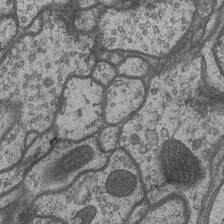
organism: Drosophila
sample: Optic medulla